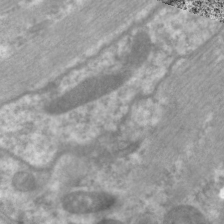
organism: C. elegans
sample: Pharynx